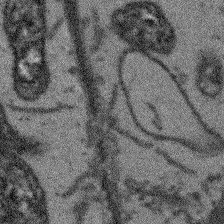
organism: Arabidopsis thaliana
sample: Root tip